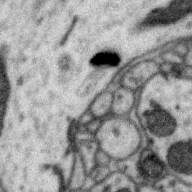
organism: Zebra finch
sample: Brain